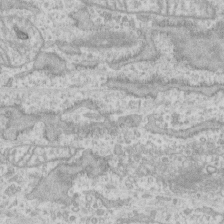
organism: Human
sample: CRL-1474